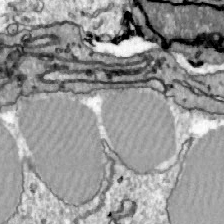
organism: Zebrafish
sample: Actinotrichia fibers